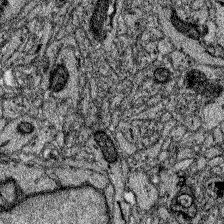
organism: Zebrafish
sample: Larval olfactory bulb